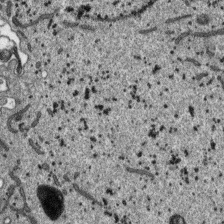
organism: Human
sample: Lung epithelial cells infected with SARS-CoV-2